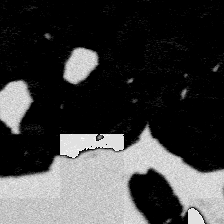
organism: Platynereis dumerilii